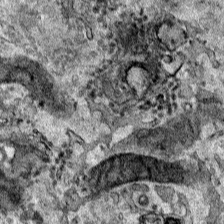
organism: Human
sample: Mitochondria in HCT116 cells